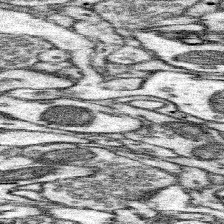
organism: Mouse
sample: Somatosensory cortex neuropil